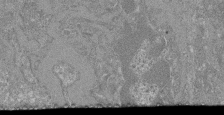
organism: Mouse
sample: Glomerulus